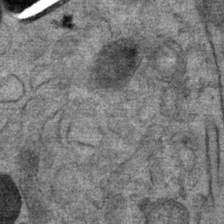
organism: Mouse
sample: Mouse Salivary gland